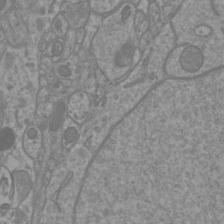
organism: Mouse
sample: Cortical neurons